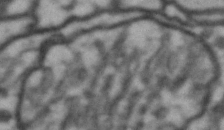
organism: Drosophila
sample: Brain